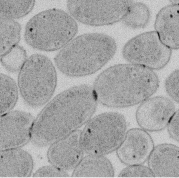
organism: E. coli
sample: Bacterial nucleoid